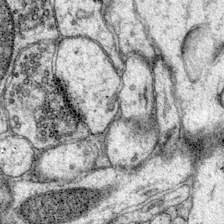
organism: Mouse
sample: Primary visual cortex